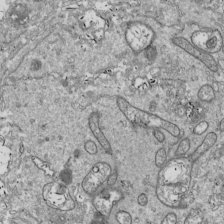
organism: Drosophila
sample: Cell division; meiosis; drosophila spermatocytes